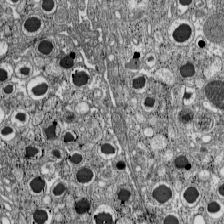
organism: C57BL Mouse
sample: Pancreatic islet